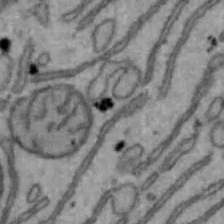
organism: Mouse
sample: Liver